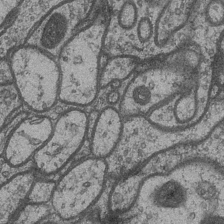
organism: Drosophila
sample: Optic medulla